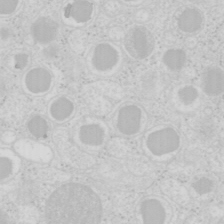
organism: Mouse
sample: Pancreas